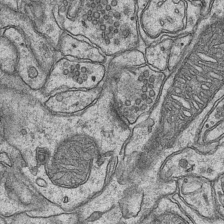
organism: Mouse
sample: CA1 Hippocampus